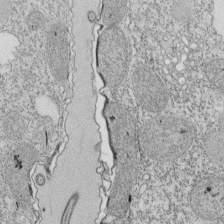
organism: Tetrahymena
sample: Cilia in tetrahymena